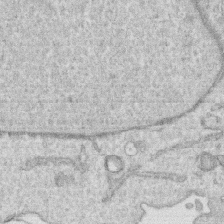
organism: Human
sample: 1205lu cells